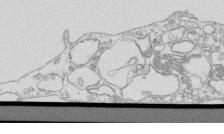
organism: Mouse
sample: Macrophages